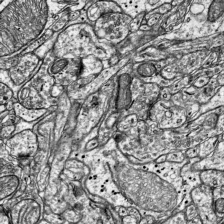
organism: Mouse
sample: Visual Cortex